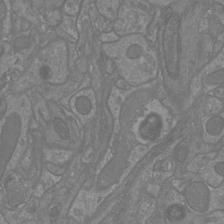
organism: Mouse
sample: Cortical neurons